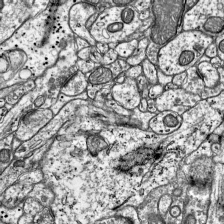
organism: Mouse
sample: Visual Cortex